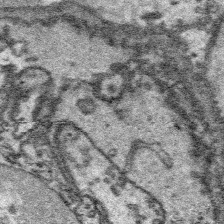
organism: Platynereis dumerilii